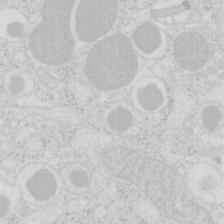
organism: Mouse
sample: Pancreas